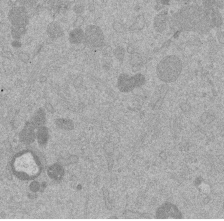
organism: Mouse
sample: Dividing mouse embryo 1 cell stage